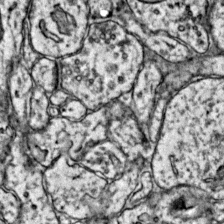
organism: Mouse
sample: Primary visual cortex